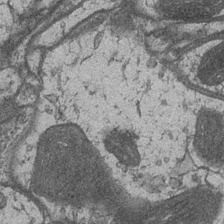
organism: Drosophila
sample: Optic medulla